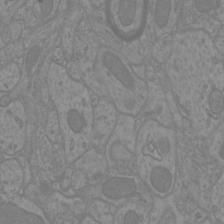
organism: Mouse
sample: Cortical neurons